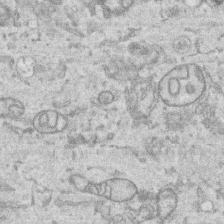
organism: Human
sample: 1205lu cells